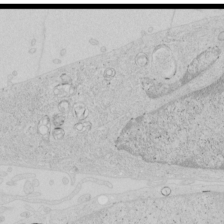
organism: Human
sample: Mitochondria in HCT116 cells